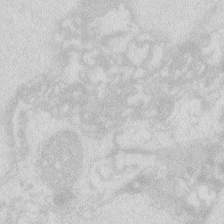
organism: Zebrafish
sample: Macrophage